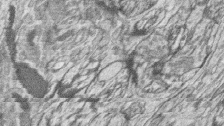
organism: Zebrafish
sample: synaptic ribbons in rod cells and cone cells